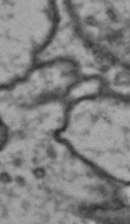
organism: Drosophila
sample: Brain